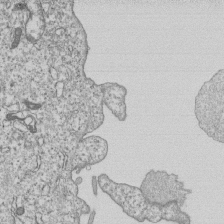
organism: Human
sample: MDA-MB-231 cells